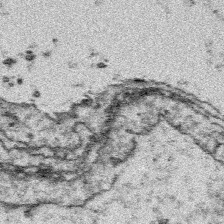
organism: Platynereis dumerilii